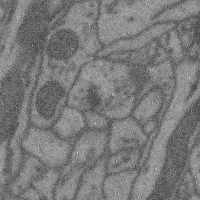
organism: Mouse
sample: Cerebral cortex